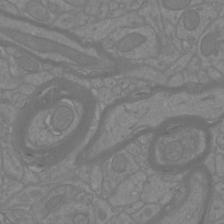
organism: Mouse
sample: Cortical neurons